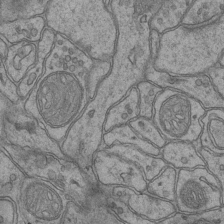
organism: Mouse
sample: CA1 Hippocampus